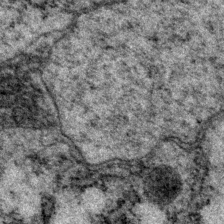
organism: P. pacificus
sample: Pharynx